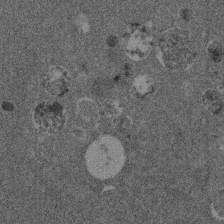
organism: Mouse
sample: Dividing mouse embryo 1 cell stage